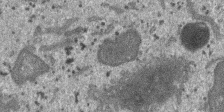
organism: Human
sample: Lung epithelial cells infected with SARS-CoV-2